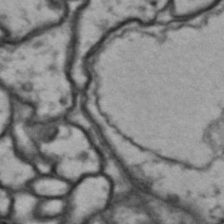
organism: Drosophila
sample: Brain